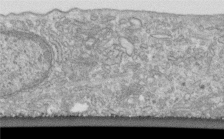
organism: Human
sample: Centriole in fibroblast cells